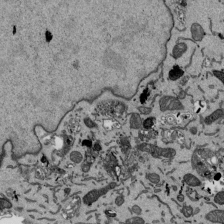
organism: Mouse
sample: ED-1 cell nuclei; centrioles